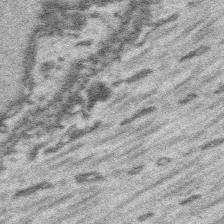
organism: Platynereis dumerilii